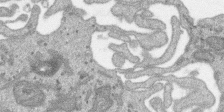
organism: Human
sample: Lung epithelial cells infected with SARS-CoV-2